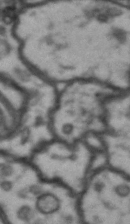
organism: Drosophila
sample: Brain